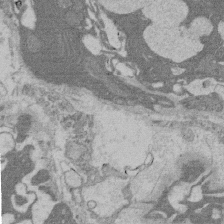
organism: Rat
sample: Salivary granule